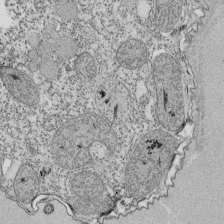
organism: Tetrahymena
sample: Cilia in tetrahymena